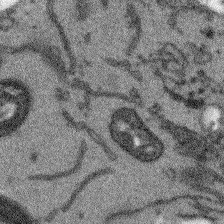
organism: Arabidopsis thaliana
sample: Root tip